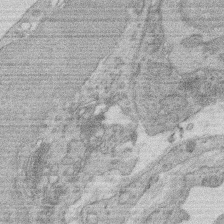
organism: Rat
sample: Salivary granule